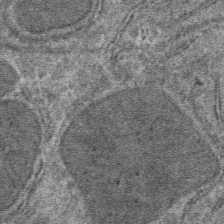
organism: Mouse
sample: Mouse hepatocytes